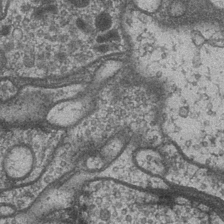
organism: Drosophila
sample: Optic medulla